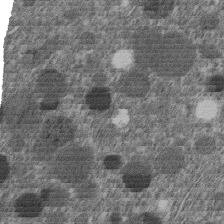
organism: C. elegans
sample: C. elegans embryo early stage